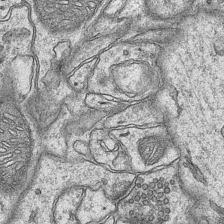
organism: Mouse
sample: CA1 Hippocampus